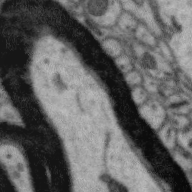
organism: Zebra finch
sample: Brain